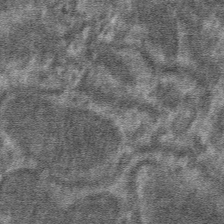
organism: Mouse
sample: Mouse hepatocytes